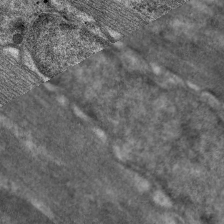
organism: C. elegans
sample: Pharynx